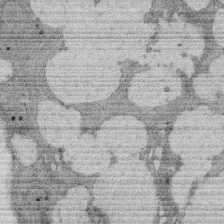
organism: Rat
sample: Salivary granule